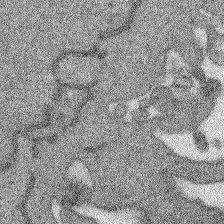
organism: Human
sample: HeLa cells